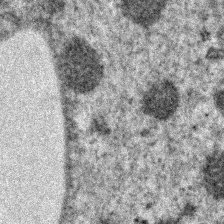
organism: Zebrafish